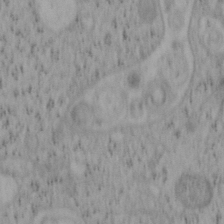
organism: Mouse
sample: OT-I killer T cells with ID8 ovarian cancer cells